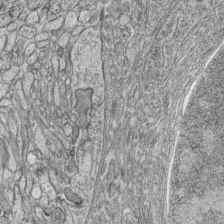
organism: Zebrafish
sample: synaptic ribbons in rod cells and cone cells